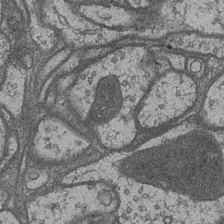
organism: Drosophila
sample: Optic medulla